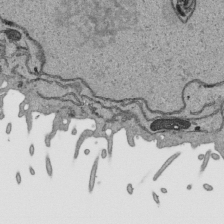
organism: Human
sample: Mitochondria in HCT116 cells